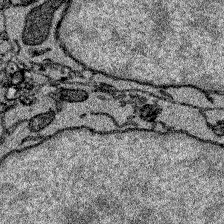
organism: Zebrafish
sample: Larval olfactory bulb